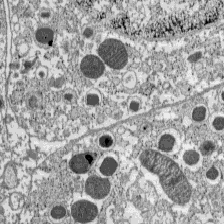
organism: C57BL Mouse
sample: Pancreatic islet